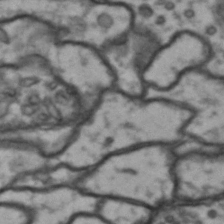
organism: Drosophila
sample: Brain